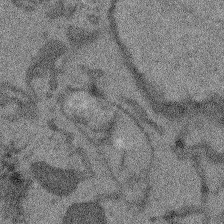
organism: Arabidopsis thaliana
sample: Root tip